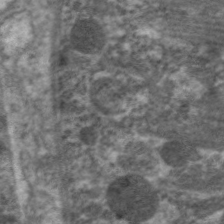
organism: C. elegans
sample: Pharynx